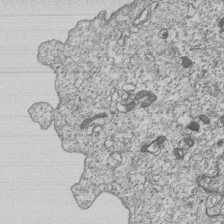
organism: Human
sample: MDA-MB-231 cells